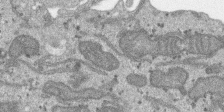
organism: Human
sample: Lung epithelial cells infected with SARS-CoV-2